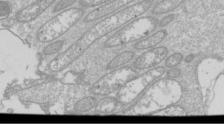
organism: Drosophila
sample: Cell division; meiosis; drosophila spermatocytes